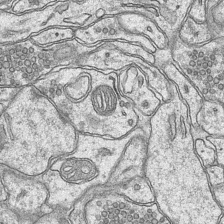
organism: Mouse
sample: CA1 Hippocampus